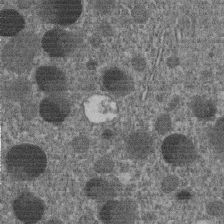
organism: C. elegans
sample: C. elegans embryo early stage